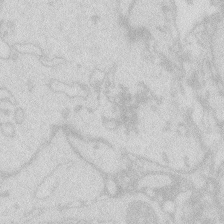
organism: Zebrafish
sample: Macrophage